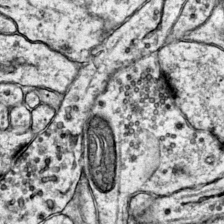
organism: Mouse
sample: Primary visual cortex